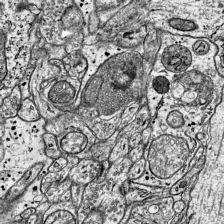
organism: Mouse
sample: Visual Cortex